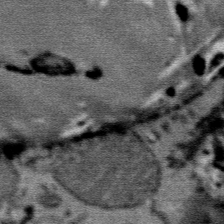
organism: Mouse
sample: Mouse Salivary gland